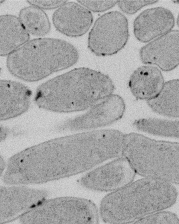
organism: E. coli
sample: Bacterial nucleoid